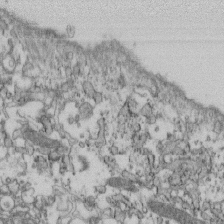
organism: Mouse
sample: Cilia; retinal pigment epithelium